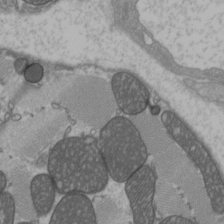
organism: C57BL Mouse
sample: Heart